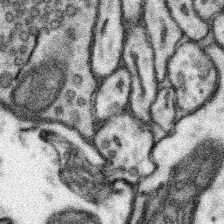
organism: Mouse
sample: Somatosensory cortex neuropil